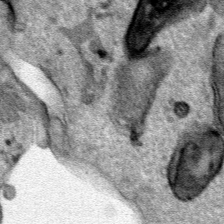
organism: Human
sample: Mitochondria in HCT116 cells